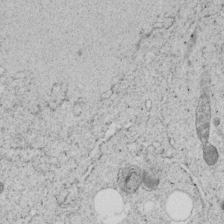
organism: C. elegans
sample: C. elegans embryo early stage